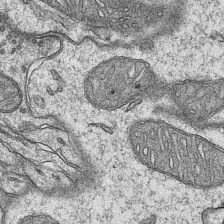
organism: Mouse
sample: CA1 Hippocampus